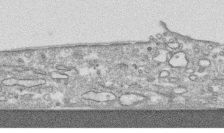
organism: Human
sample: CRL-1474